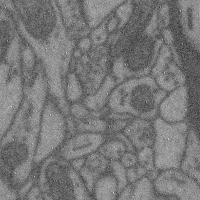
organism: Mouse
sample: Cerebral cortex